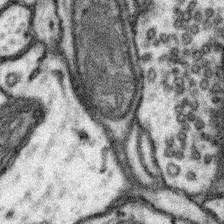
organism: Mouse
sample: Somatosensory cortex neuropil